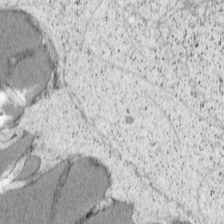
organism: African green monkey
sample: COS-7 cells